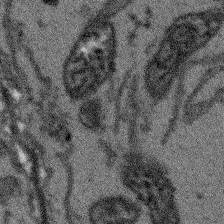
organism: Arabidopsis thaliana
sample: Root tip